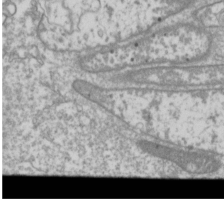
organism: Drosophila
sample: Cell division; meiosis; drosophila spermatocytes